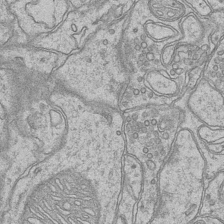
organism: Mouse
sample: CA1 Hippocampus